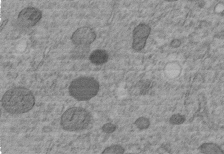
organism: C. elegans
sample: C. elegans embryo early stage